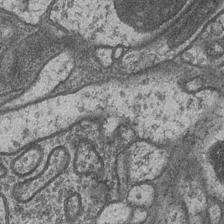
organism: Drosophila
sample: Optic medulla